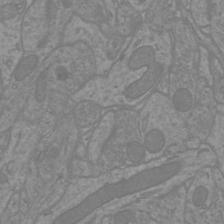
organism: Mouse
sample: Cortical neurons